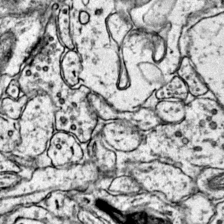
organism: Mouse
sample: Primary visual cortex